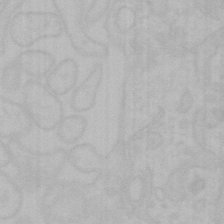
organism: Mouse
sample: Choroid plexus